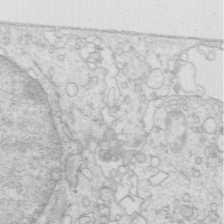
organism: Mouse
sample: Multiciliated cells